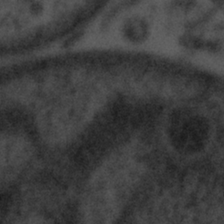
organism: Tuwongella immobilis